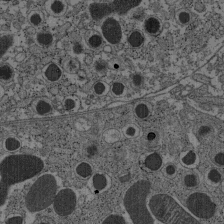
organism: C57BL Mouse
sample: Pancreatic islet